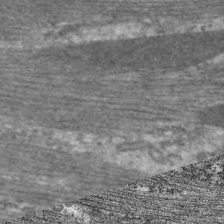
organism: C. elegans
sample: Pharynx